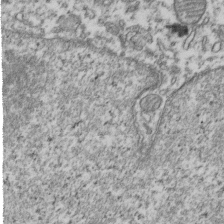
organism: Human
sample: Activated Jurkat CD4+ T cells